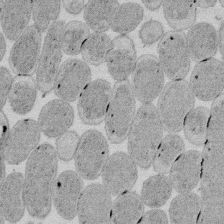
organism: E. coli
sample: Bacterial nucleoid